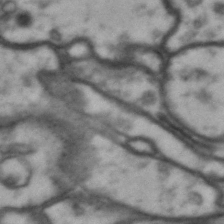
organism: Drosophila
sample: Brain